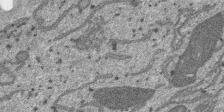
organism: Human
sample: Lung epithelial cells infected with SARS-CoV-2